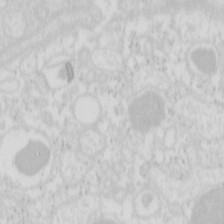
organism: Mouse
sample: Pancreas